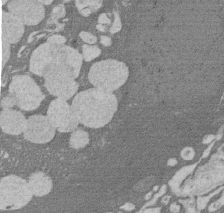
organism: Rat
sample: Salivary granule